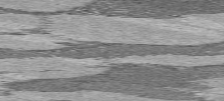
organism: C57BL Mouse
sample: Heart